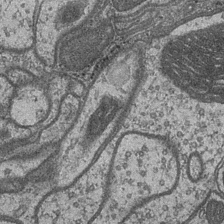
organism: Drosophila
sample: Optic medulla